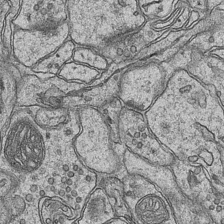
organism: Mouse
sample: CA1 Hippocampus